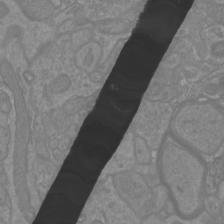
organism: Mouse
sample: Cortical neurons